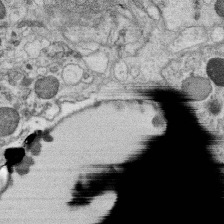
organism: C. elegans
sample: C. elegans oocyte; sperm cells